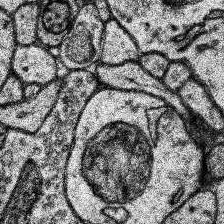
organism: Human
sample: Temporal Lobe